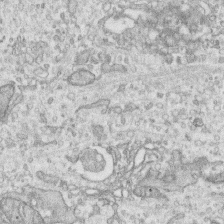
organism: Human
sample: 1205lu cells